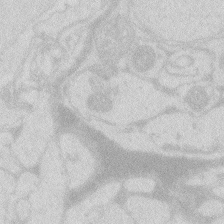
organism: Zebrafish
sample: Macrophage